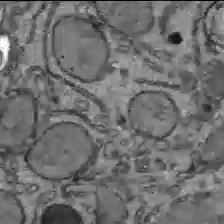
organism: C57BL Mouse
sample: Liver